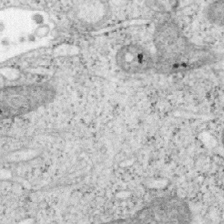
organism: Mouse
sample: OT-I killer T cells with ID8 ovarian cancer cells